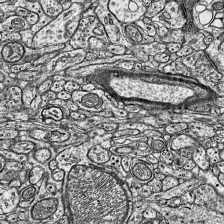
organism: Mouse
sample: Visual Cortex